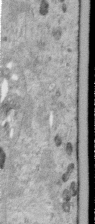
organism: Human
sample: Centriole in RPE cells